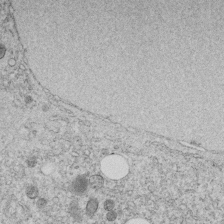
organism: C. elegans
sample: C. elegans embryo early stage